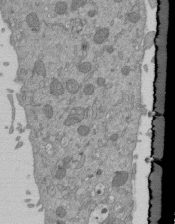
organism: Mouse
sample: ED-1 cell nuclei; centrioles